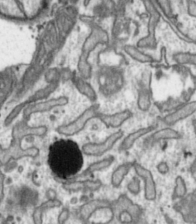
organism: Toxoplasma gondii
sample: Parasites in a vacuole inside a host cell